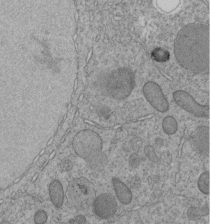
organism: C. elegans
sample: C. elegans embryo early stage